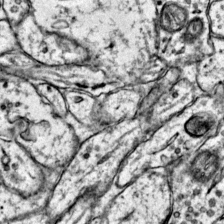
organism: Mouse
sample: Primary visual cortex